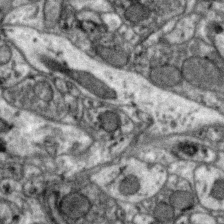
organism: Zebra finch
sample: Brain